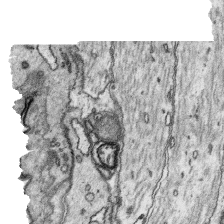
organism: Platynereis dumerilii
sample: Parapodia